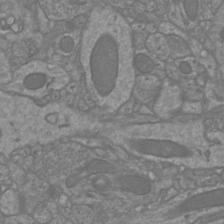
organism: Mouse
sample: Cortical neurons